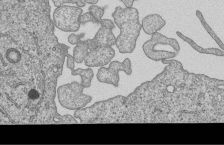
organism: Human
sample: MDA-MB-231 cells